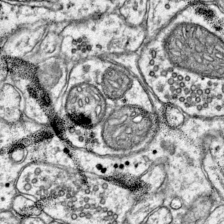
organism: Mouse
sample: Primary visual cortex